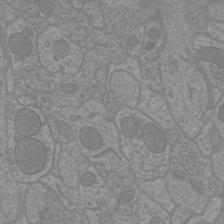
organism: Mouse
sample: Cortical neurons